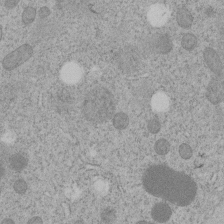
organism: C. elegans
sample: C. elegans embryo early stage